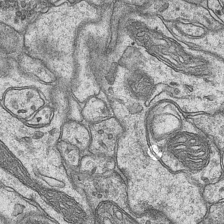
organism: Mouse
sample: CA1 Hippocampus